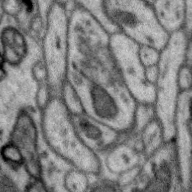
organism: Zebra finch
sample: Brain